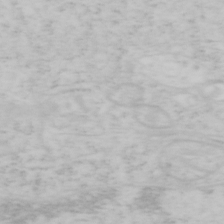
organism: Mouse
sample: OT-I killer T cells with ID8 ovarian cancer cells